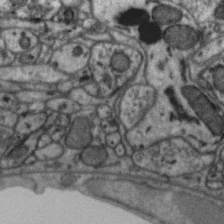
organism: Zebra finch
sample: Brain